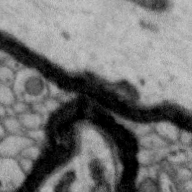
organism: Zebra finch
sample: Brain